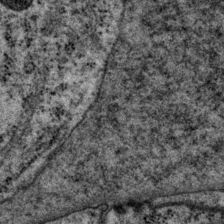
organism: P. pacificus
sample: Pharynx